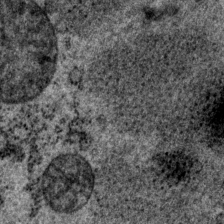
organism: P. pacificus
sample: Pharynx